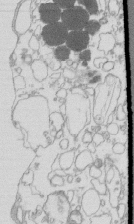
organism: Mouse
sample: Macrophages